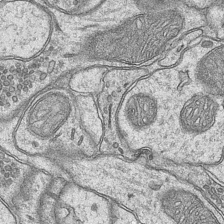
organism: Mouse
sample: CA1 Hippocampus